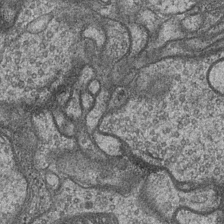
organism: Drosophila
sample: Optic medulla